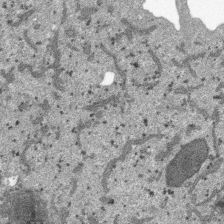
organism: Human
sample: Lung epithelial cells infected with SARS-CoV-2